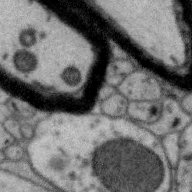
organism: Zebra finch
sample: Brain